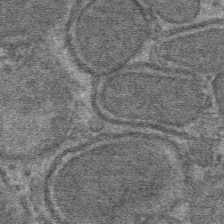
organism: Mouse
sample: Mouse hepatocytes